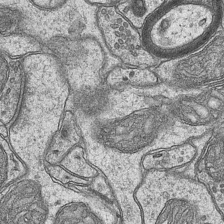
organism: Mouse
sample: CA1 Hippocampus